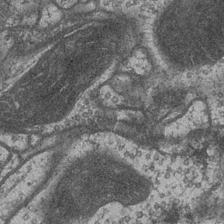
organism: Drosophila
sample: Optic medulla